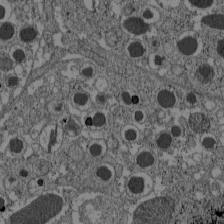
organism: C57BL Mouse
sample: Pancreatic islet